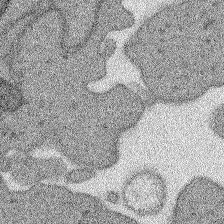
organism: Human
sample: HeLa cells